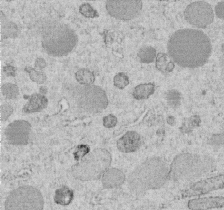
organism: C. elegans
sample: C. elegans embryo early stage